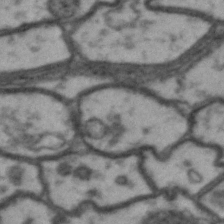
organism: Drosophila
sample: Brain